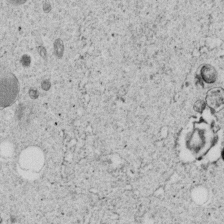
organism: C. elegans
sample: C. elegans embryo early stage